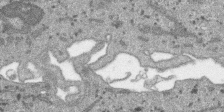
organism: Human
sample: Lung epithelial cells infected with SARS-CoV-2